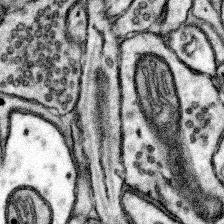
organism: Mouse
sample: Somatosensory cortex neuropil